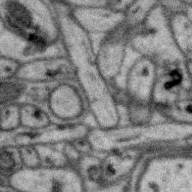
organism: Zebra finch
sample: Brain